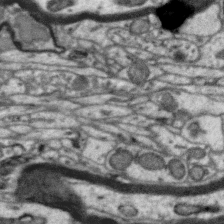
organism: Zebra finch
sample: Brain